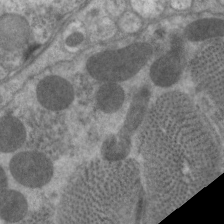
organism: C. elegans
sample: Pharynx